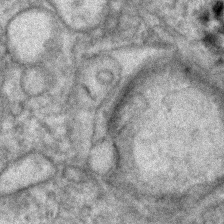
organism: Human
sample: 1205lu cells